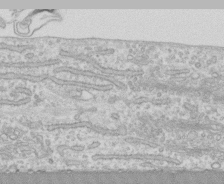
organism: Human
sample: CRL-1474